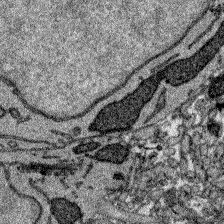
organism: Zebrafish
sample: Larval olfactory bulb